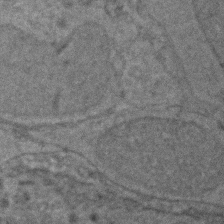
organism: Zebrafish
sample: Zebrafish embryo